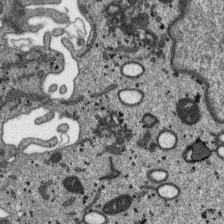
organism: Human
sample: Lung epithelial cells infected with SARS-CoV-2